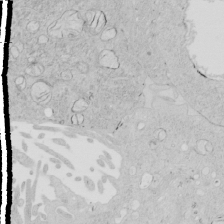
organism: Human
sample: Mitochondria in HCT116 cells